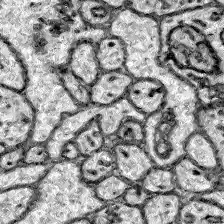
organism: Zebrafish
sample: Brain